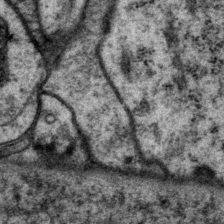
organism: P. pacificus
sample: Pharynx